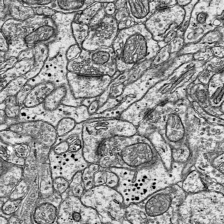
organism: Mouse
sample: Visual Cortex